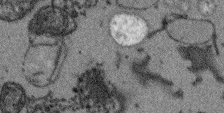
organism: Arabidopsis thaliana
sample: Root tip